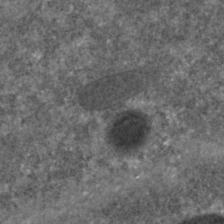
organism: C. elegans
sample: C. elegans embryo